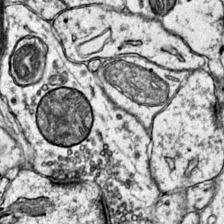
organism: Mouse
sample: Primary visual cortex